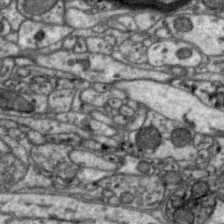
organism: Zebra finch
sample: Brain